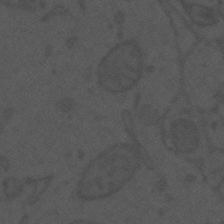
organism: Mouse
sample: Suprachiasmatic nucleus